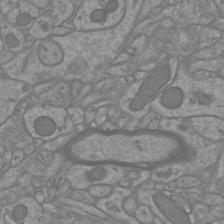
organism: Mouse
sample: Cortical neurons